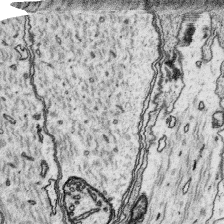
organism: Platynereis dumerilii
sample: Parapodia